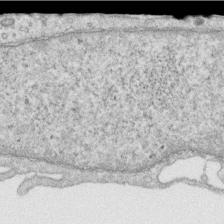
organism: Human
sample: Centriole in RPE cells